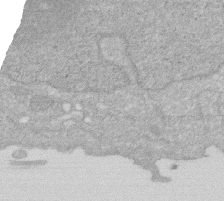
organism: Human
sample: HIV infected U937 cells